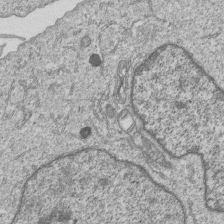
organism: Human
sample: MDA-MB-231 cells